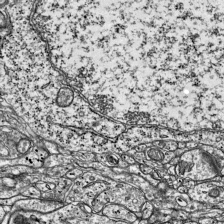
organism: Mouse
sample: Visual Cortex